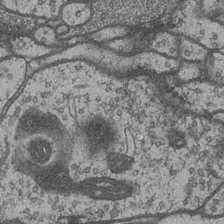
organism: Drosophila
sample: Optic medulla